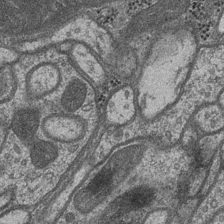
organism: Drosophila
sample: Optic medulla